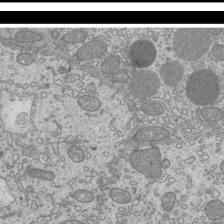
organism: Mouse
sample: Cilia; mouse epididymis